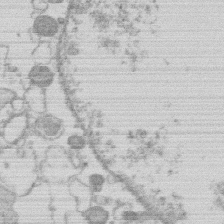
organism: Human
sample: Macrophage cells